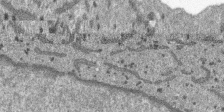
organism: Human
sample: Lung epithelial cells infected with SARS-CoV-2